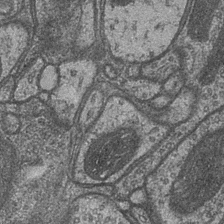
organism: Drosophila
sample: Optic medulla